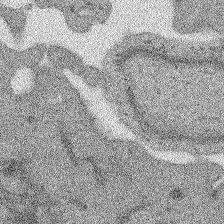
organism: Human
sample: HeLa cells